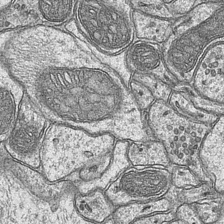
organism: Mouse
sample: CA1 Hippocampus